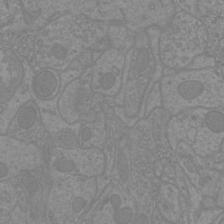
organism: Mouse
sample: Cortical neurons